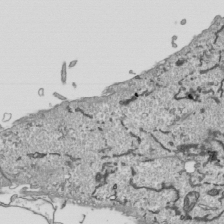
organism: Human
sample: Mitochondria in HCT116 cells